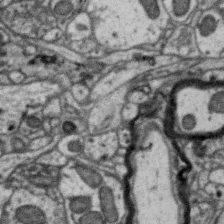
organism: Zebra finch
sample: Brain